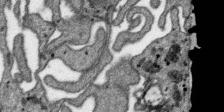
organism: Human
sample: Lung epithelial cells, uninfected (mock) control